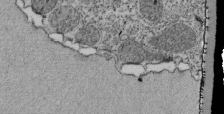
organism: Tetrahymena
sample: Cilia in tetrahymena